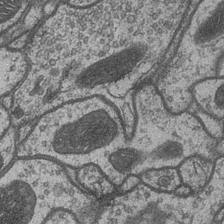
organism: Drosophila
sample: Optic medulla